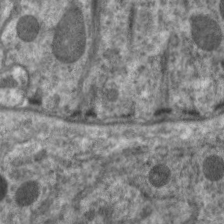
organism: C. elegans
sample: Pharynx